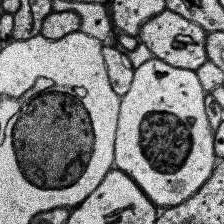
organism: Human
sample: Temporal Lobe